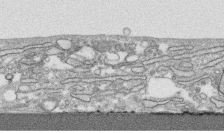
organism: Human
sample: CRL-1474